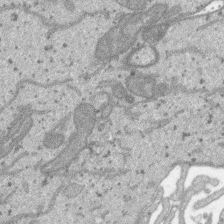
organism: Human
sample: Lung epithelial cells infected with SARS-CoV-2